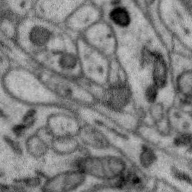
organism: Zebra finch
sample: Brain